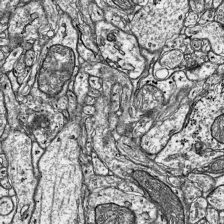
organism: Mouse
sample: Visual Cortex